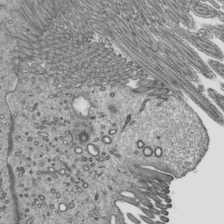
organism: Mouse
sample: Mouse epididymis efferent ductule cilia